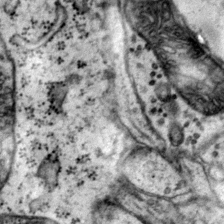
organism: Mouse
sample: Primary visual cortex